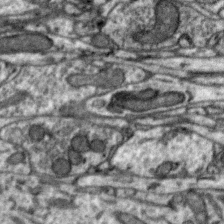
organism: Zebra finch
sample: Brain